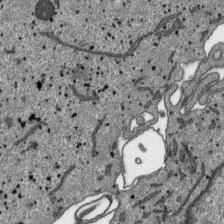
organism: Human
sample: Lung epithelial cells, uninfected (mock) control